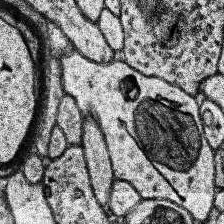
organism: Human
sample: Temporal Lobe